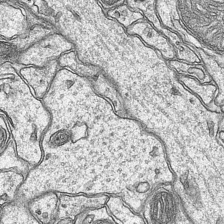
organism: Mouse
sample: CA1 Hippocampus